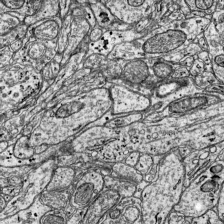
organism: Mouse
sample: Visual Cortex